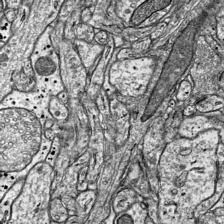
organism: Mouse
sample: Visual Cortex